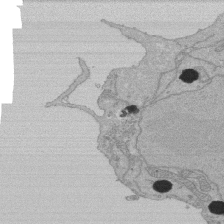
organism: Human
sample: Activated Jurkat CD4+ T cells